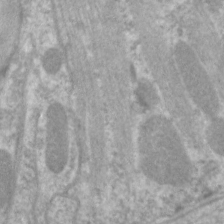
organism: C. elegans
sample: Pharynx